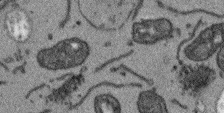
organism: Arabidopsis thaliana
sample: Root tip